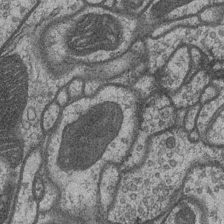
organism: Drosophila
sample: Optic medulla